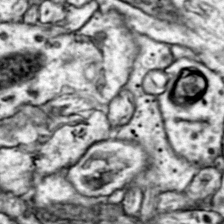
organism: Mouse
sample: Primary visual cortex